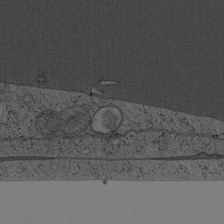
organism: African green monkey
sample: COS-7 cells